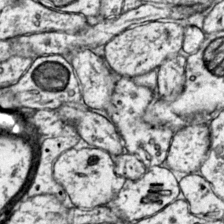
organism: Mouse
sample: Primary visual cortex